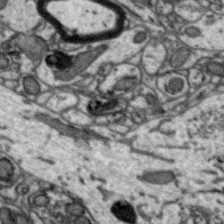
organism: Zebra finch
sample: Brain